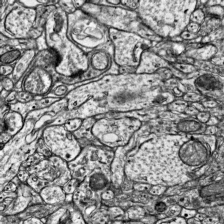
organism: Mouse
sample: Visual Cortex